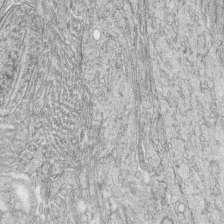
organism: Zebrafish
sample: synaptic ribbons in rod cells and cone cells